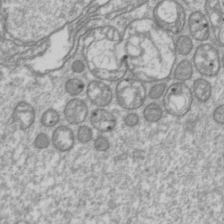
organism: Drosophila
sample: Cell division; meiosis; drosophila spermatocytes